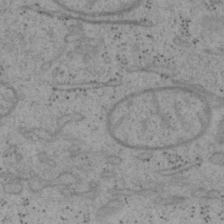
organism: Human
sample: HeLa cells